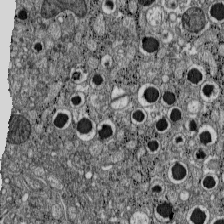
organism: C57BL Mouse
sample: Pancreatic islet